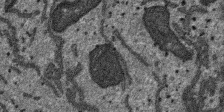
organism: Human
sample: Lung epithelial cells infected with SARS-CoV-2